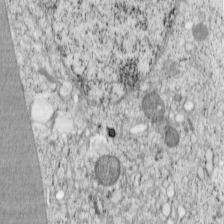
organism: African green monkey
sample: COS-7 cells